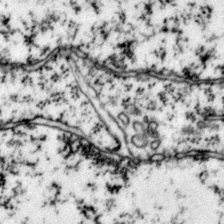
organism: Mouse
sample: Primary visual cortex